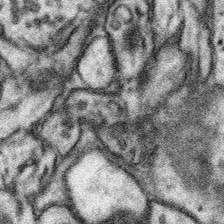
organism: Mouse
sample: Somatosensory cortex neuropil